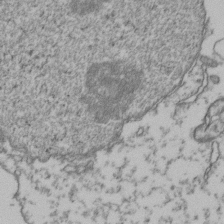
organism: Human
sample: Activated Jurkat CD4+ T cells